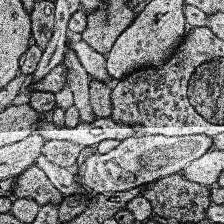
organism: Human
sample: Temporal Lobe